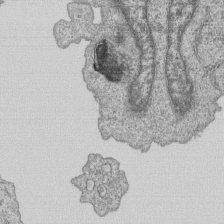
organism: Human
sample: MDA-MB-231 cells